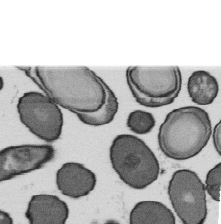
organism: B. subtilis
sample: Bacterial spore